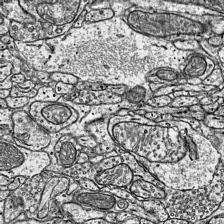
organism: Mouse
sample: Visual Cortex